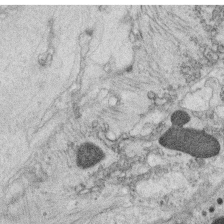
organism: C. elegans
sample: C. elegans oocyte; sperm cells